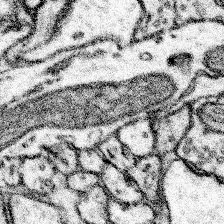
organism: Mouse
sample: Somatosensory cortex neuropil